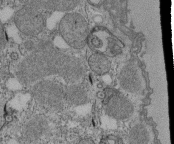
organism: Tetrahymena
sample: Cilia in tetrahymena